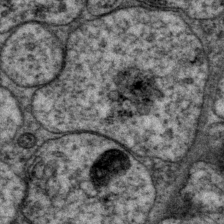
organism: P. pacificus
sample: Pharynx